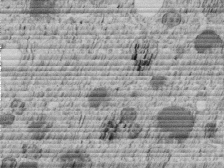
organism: C. elegans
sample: C. elegans embryo early stage